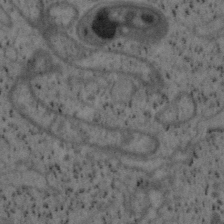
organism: Human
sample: HeLa cells